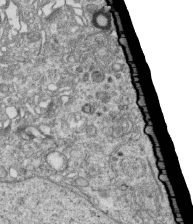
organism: Human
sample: HeLa cell HIV synapse